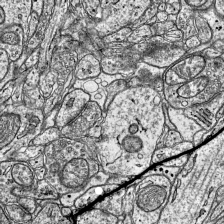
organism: Mouse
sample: Visual Cortex